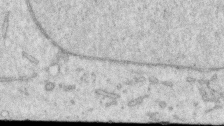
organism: Human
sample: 1205lu cells